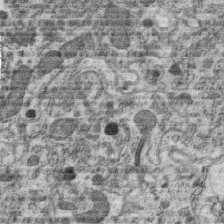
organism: C. elegans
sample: C. elegans oocyte; sperm cells